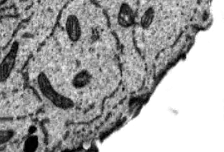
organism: Human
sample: HeLa cells